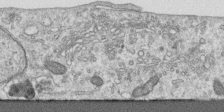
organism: Human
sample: Centriole in RPE cells